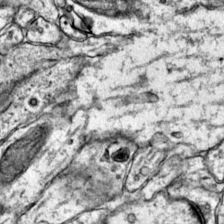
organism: Mouse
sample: Primary visual cortex